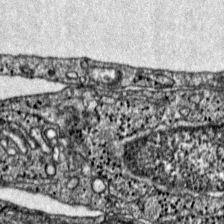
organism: Mouse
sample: Primary visual cortex